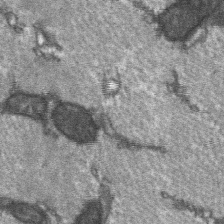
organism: C57BL Mouse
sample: Soleus